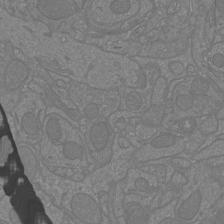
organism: Mouse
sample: Cortical neurons